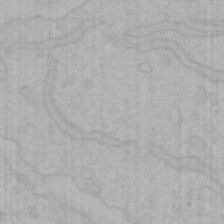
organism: Mouse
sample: Choroid plexus